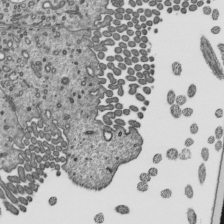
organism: Mouse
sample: Mouse epididymis efferent ductule cilia